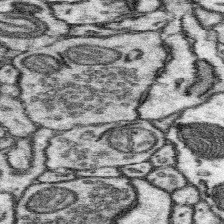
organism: Mouse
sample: Somatosensory cortex neuropil